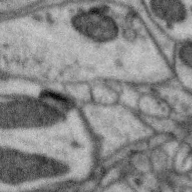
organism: Zebra finch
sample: Brain